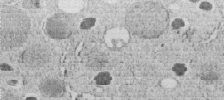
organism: C. elegans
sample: C. elegans embryo early stage